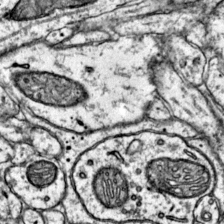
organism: Mouse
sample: Primary visual cortex